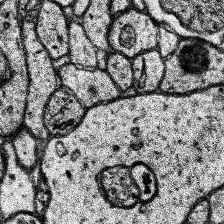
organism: Human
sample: Temporal Lobe